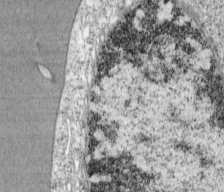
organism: African green monkey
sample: COS-7 cells